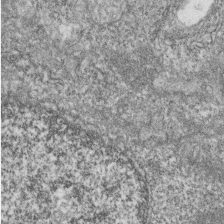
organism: Zebrafish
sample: Cilia; retinal pigment epithelium